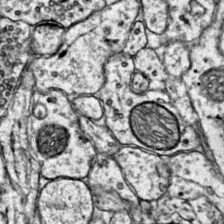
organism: Mouse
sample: Primary visual cortex